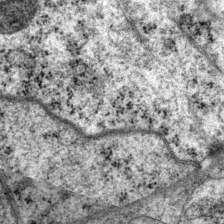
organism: P. pacificus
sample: Pharynx